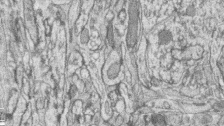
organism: Zebrafish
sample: synaptic ribbons in rod cells and cone cells